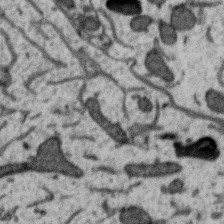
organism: Zebra finch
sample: Brain